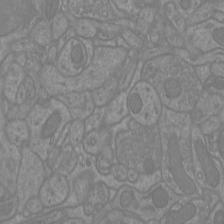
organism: Mouse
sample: Cortical neurons